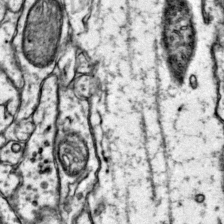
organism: Mouse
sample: Primary visual cortex